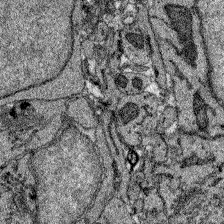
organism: Zebrafish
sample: Larval olfactory bulb